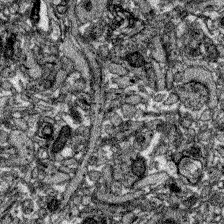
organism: Zebrafish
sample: Larval olfactory bulb